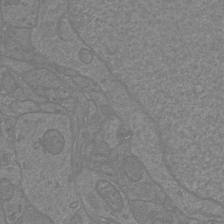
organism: Mouse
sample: Cortical neurons